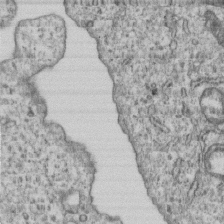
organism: Human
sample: MDA-MB-231 cells